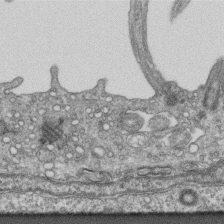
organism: Mouse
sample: Centriole in ependymal cells